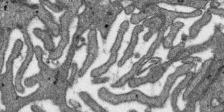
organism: Human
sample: Lung epithelial cells, uninfected (mock) control